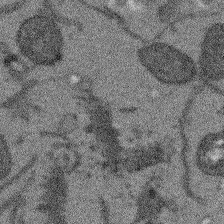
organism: Arabidopsis thaliana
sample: Root tip